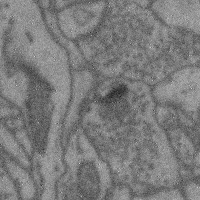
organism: Mouse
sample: Cerebral cortex